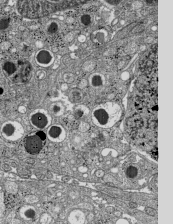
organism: C57BL Mouse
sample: Pancreatic islet